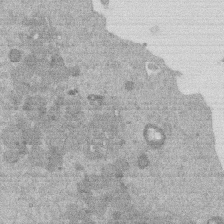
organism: Mouse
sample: Dividing mouse embryo 1 cell stage